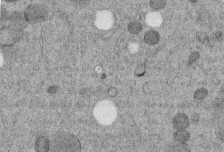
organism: C. elegans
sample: C. elegans embryo early stage